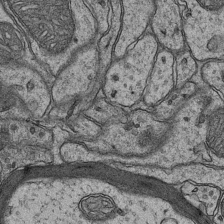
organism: Mouse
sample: CA1 Hippocampus